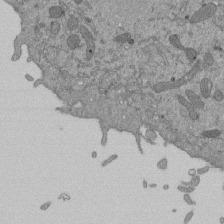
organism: Mouse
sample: ED-1 cell nuclei; centrioles